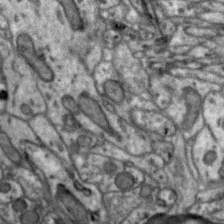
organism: Zebra finch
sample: Brain